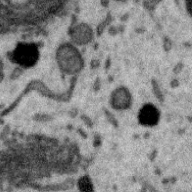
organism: Zebra finch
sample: Brain